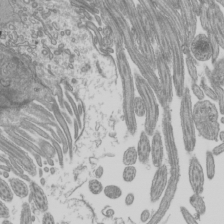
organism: Mouse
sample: Cilia; mouse epididymis